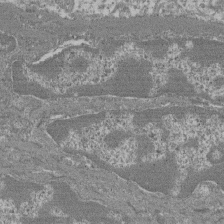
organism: Mouse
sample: Glomerulus